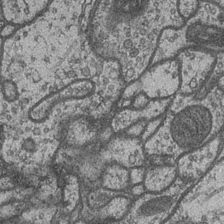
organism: Drosophila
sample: Optic medulla